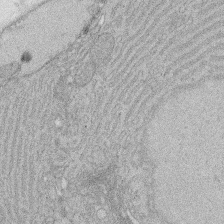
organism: Rat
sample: Salivary granule